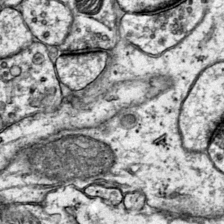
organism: Mouse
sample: Primary visual cortex